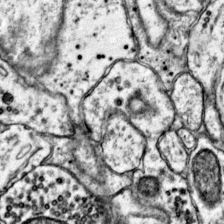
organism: Mouse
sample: Primary visual cortex